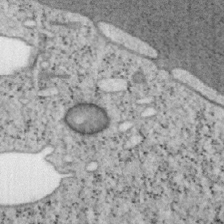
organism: Mouse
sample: OT-I killer T cells with ID8 ovarian cancer cells